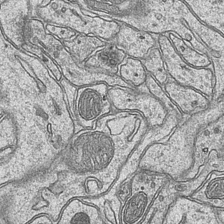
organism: Mouse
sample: CA1 Hippocampus